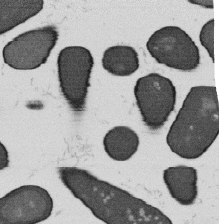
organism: B. subtilis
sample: Bacterial spore